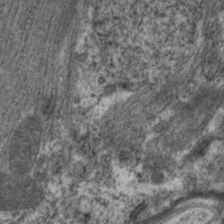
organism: C. elegans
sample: Pharynx